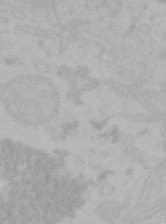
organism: Mouse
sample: Choroid plexus